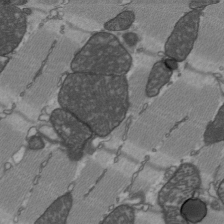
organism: C57BL Mouse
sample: Heart